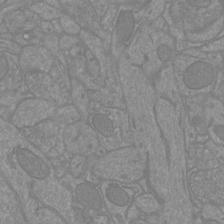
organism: Mouse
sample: Cortical neurons